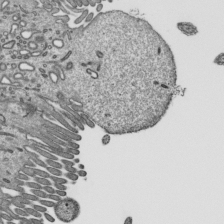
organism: Mouse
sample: Mouse epididymis efferent ductule cilia